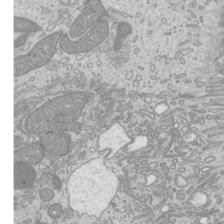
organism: Mouse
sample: Cilia; mouse epididymis